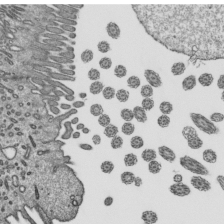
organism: Mouse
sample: Mouse epididymis efferent ductule cilia